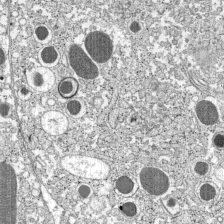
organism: C57BL Mouse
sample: Pancreatic islet